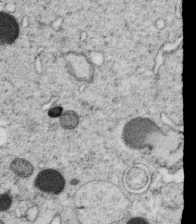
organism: C. elegans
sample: C. elegans oocyte; sperm cells